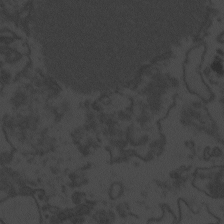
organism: Zebrafish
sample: Macrophage infected with Toxoplasma gondii